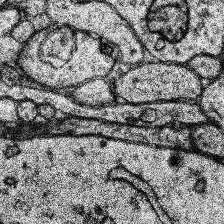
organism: Human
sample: Temporal Lobe